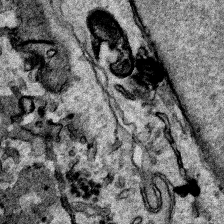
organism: Human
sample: Mitochondria in HCT116 cells